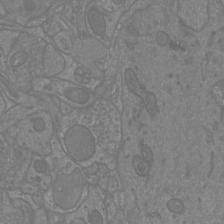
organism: Mouse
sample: Cortical neurons